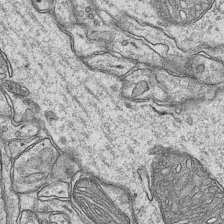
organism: Mouse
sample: CA1 Hippocampus